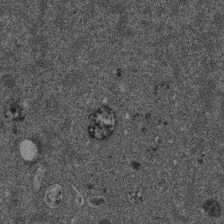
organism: Mouse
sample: Dividing mouse embryo 1 cell stage